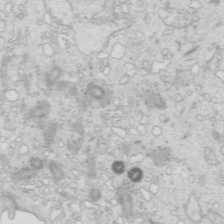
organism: Mouse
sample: Multiciliated cells